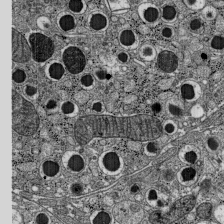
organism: C57BL Mouse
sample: Pancreatic islet